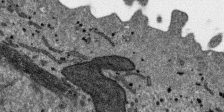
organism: Human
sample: Lung epithelial cells, uninfected (mock) control